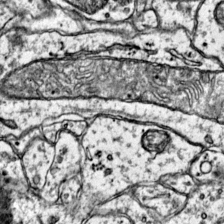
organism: Mouse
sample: Primary visual cortex